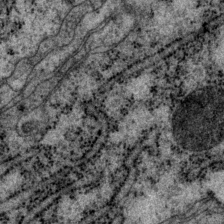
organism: P. pacificus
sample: Pharynx